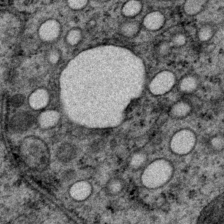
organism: P. pacificus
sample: Pharynx